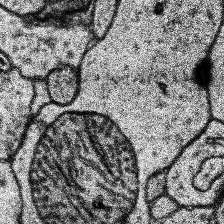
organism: Human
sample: Temporal Lobe